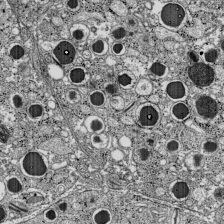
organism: C57BL Mouse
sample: Pancreatic islet